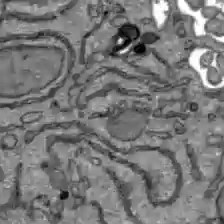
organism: C57BL Mouse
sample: Liver